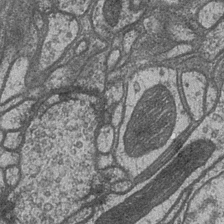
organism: Drosophila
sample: Optic medulla